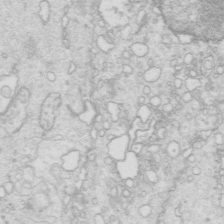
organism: Mouse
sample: Multiciliated cells